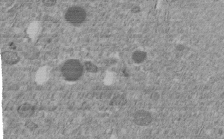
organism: C. elegans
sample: C. elegans embryo early stage